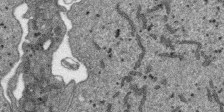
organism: Human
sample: Lung epithelial cells infected with SARS-CoV-2